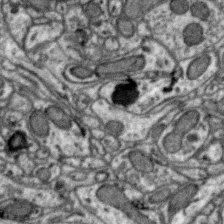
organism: Zebra finch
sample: Brain